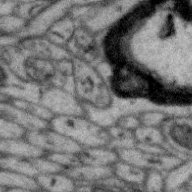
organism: Zebra finch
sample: Brain